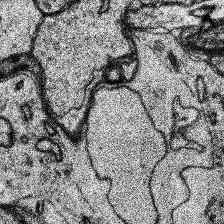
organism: Human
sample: Temporal Lobe